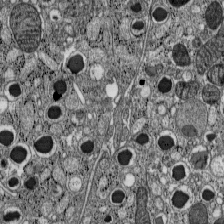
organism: C57BL Mouse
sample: Pancreatic islet